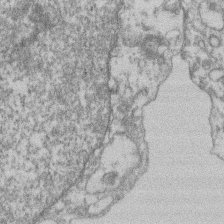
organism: Mouse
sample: T cell stromal cell synapse